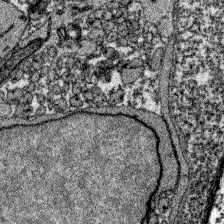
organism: Zebrafish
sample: Larval olfactory bulb